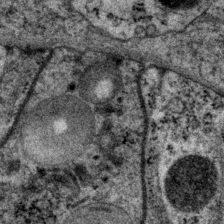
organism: P. pacificus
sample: Pharynx